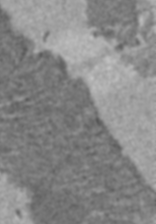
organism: C57BL Mouse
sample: Heart